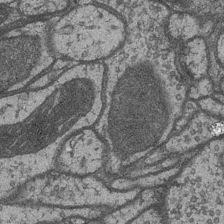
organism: Drosophila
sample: Optic medulla